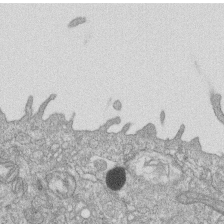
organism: Human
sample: HeLa cell HIV synapse